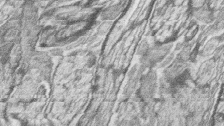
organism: Zebrafish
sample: synaptic ribbons in rod cells and cone cells